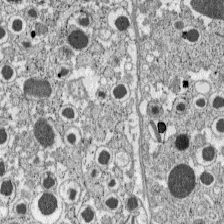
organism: C57BL Mouse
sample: Pancreatic islet